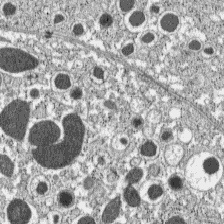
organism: C57BL Mouse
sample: Pancreatic islet